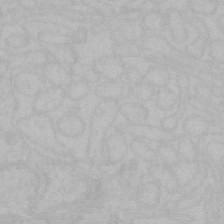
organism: Mouse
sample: Choroid plexus